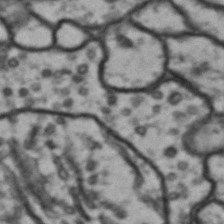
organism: Drosophila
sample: Brain